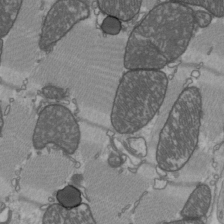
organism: C57BL Mouse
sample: Heart